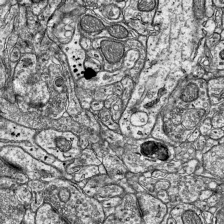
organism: Mouse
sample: Visual Cortex